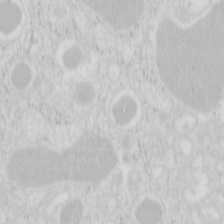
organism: Mouse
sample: Pancreas